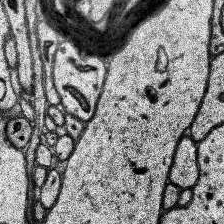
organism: Human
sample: Temporal Lobe